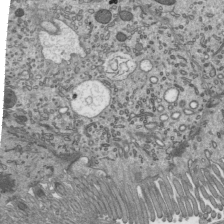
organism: Mouse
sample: Mouse epididymis efferent ductule cilia